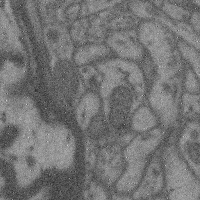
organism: Mouse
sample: Cerebral cortex